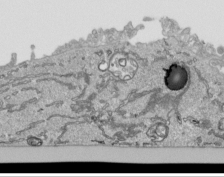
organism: Human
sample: Mitochondria in HCT116 cells